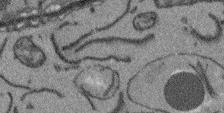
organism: Arabidopsis thaliana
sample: Root tip